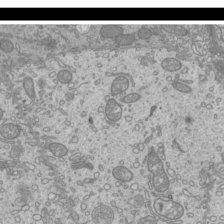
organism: Mouse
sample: Cilia; mouse epididymis